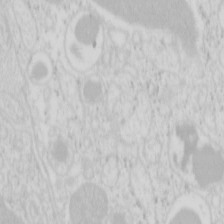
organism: Mouse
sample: Pancreas